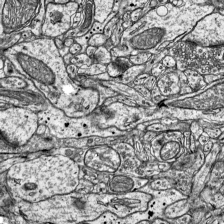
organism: Mouse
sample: Visual Cortex